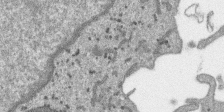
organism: Human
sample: Lung epithelial cells infected with SARS-CoV-2